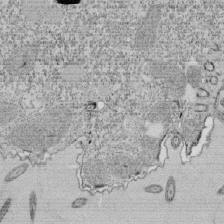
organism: Tetrahymena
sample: Cilia in tetrahymena